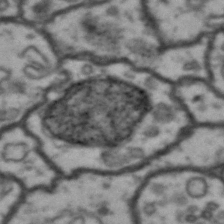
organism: Drosophila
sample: Brain